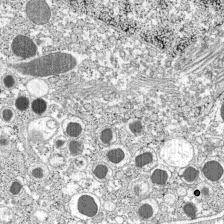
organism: C57BL Mouse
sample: Pancreatic islet